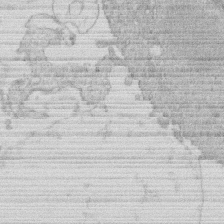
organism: Human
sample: Macrophage cells